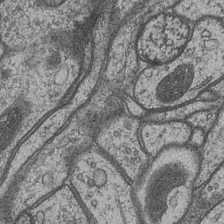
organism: Drosophila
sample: Optic medulla